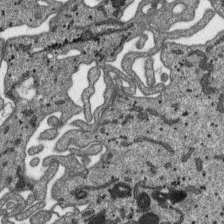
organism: Human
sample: Lung epithelial cells infected with SARS-CoV-2